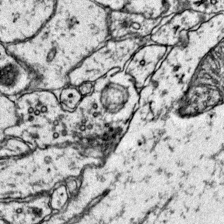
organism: Mouse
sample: Primary visual cortex